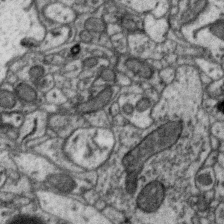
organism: Zebra finch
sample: Brain